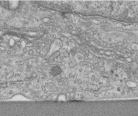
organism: Human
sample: Centriole in RPE cells